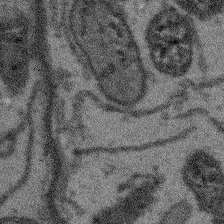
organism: Arabidopsis thaliana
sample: Root tip